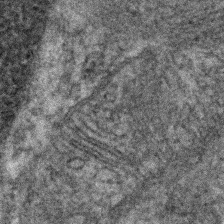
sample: Kidney